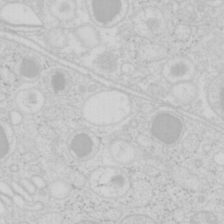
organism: Mouse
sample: Pancreas